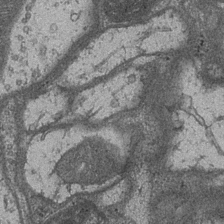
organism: Drosophila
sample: Optic medulla